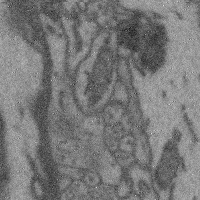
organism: Mouse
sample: Cerebral cortex